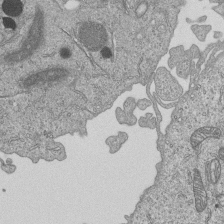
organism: Human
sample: MDA-MB-231 cells